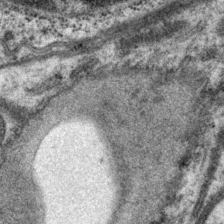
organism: P. pacificus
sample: Pharynx